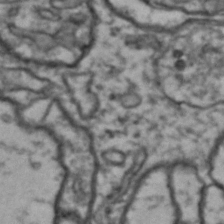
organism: Drosophila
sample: Brain